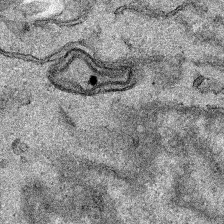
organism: Human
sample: Mitochondria in HCT116 cells